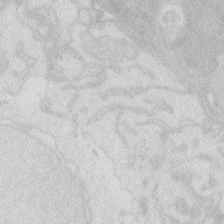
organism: Zebrafish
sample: Macrophage